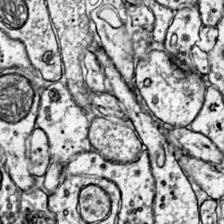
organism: Mouse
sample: Primary visual cortex